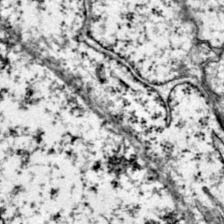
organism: Mouse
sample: Primary visual cortex